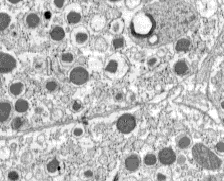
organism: C57BL Mouse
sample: Pancreatic islet